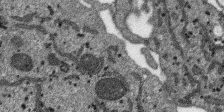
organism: Human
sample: Lung epithelial cells infected with SARS-CoV-2